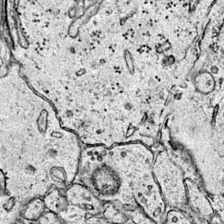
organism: Mouse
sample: Primary visual cortex